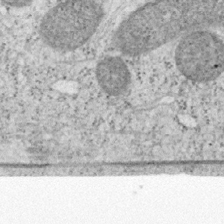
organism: Mouse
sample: OT-I killer T cells with ID8 ovarian cancer cells